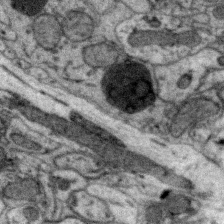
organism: Zebra finch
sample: Brain